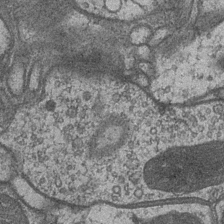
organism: Drosophila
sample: Optic medulla